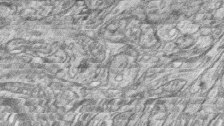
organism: Zebrafish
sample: synaptic ribbons in rod cells and cone cells